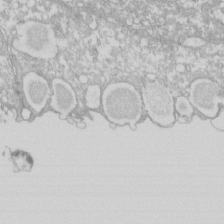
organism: Xenopus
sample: Cilia; centrioles in frog embryo cells